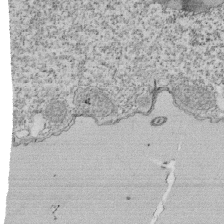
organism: Tetrahymena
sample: Cilia in tetrahymena